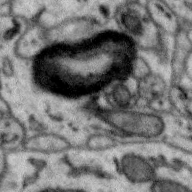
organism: Zebra finch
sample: Brain